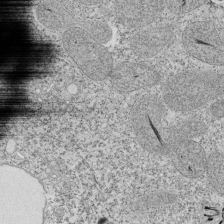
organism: Tetrahymena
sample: Cilia in tetrahymena